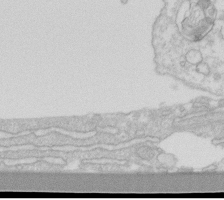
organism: Human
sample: Fibroblast cells